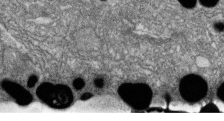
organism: Zebrafish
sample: Cilia; retinal pigment epithelium